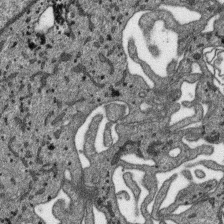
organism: Human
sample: Lung epithelial cells infected with SARS-CoV-2